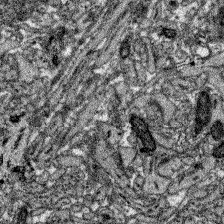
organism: Zebrafish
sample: Larval olfactory bulb